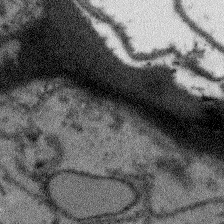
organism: Arabidopsis thaliana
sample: Root tip